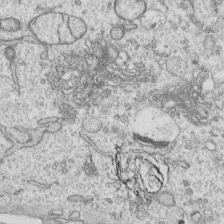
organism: Human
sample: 1205lu cells